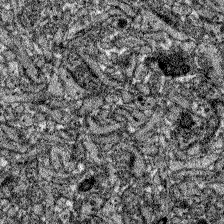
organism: Zebrafish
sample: Larval olfactory bulb